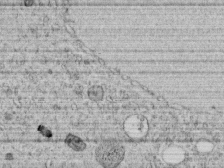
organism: C. elegans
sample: C. elegans embryo early stage